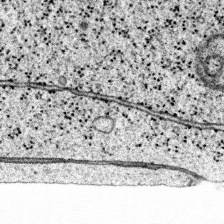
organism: Human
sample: HeLa cells